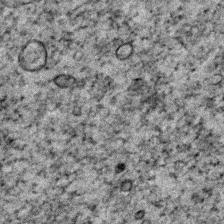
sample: Trachea